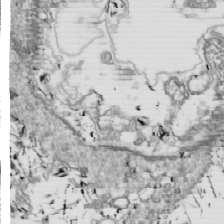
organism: Drosophila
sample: Cell division; meiosis; drosophila spermatocytes